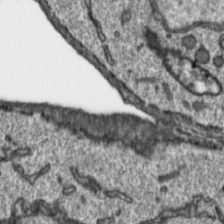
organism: Toxoplasma gondii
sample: Parasites in a vacuole inside a host cell